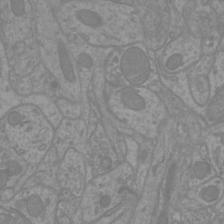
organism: Mouse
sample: Cortical neurons